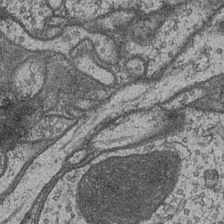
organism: Drosophila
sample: Optic medulla